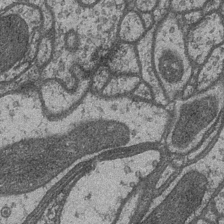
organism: Drosophila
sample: Optic medulla